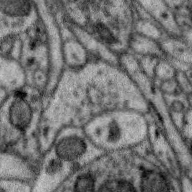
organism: Zebra finch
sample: Brain